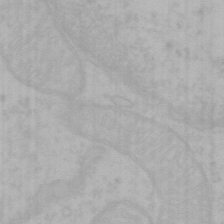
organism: Mouse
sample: Choroid plexus